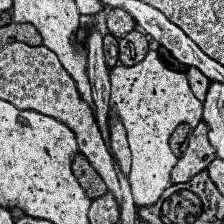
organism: Human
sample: Temporal Lobe